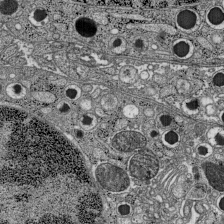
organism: C57BL Mouse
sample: Pancreatic islet